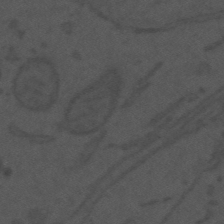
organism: Mouse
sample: Suprachiasmatic nucleus